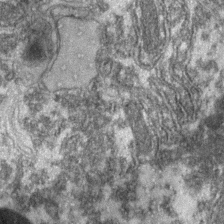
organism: Zebrafish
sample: Zebrafish embryo